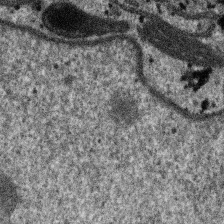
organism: Human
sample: Lung epithelial cells infected with SARS-CoV-2